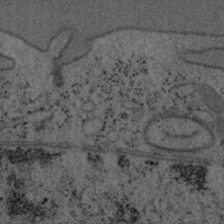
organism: Human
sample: HeLa cells